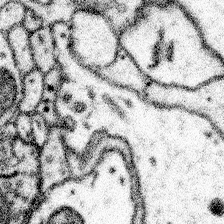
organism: Mouse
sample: Somatosensory cortex neuropil